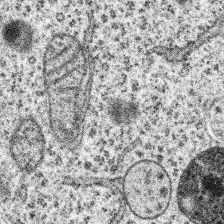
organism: Human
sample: HeLa cells